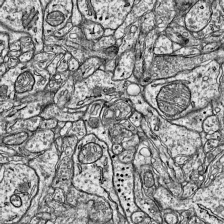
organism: Mouse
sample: Visual Cortex